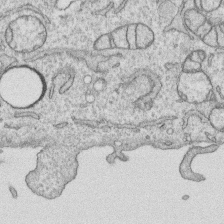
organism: Human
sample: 1205lu cells